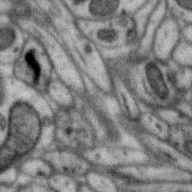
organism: Zebra finch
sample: Brain